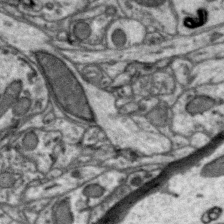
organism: Zebra finch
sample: Brain